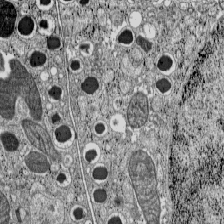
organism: C57BL Mouse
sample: Pancreatic islet